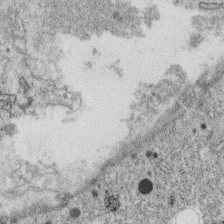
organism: C. elegans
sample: C. elegans oocyte; sperm cells